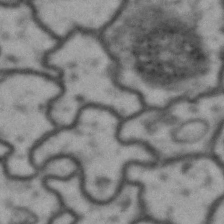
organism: Drosophila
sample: Brain